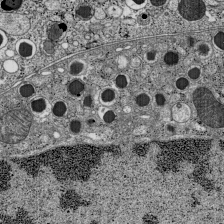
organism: C57BL Mouse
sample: Pancreatic islet